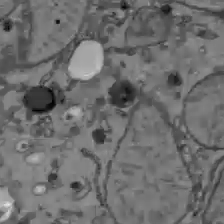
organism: C57BL Mouse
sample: Liver